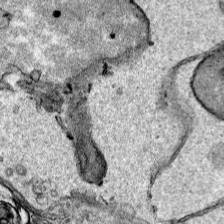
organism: Human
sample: Mitochondria in HCT116 cells